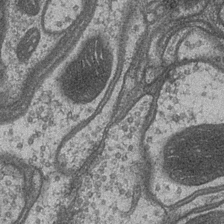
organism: Drosophila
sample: Optic medulla